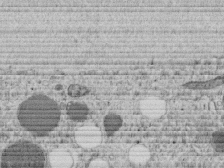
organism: C. elegans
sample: C. elegans embryo early stage